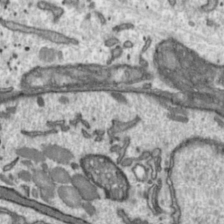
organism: Toxoplasma gondii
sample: Parasites in a vacuole inside a host cell